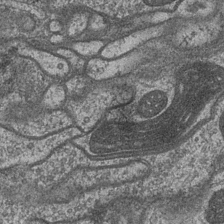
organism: Drosophila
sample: Optic medulla